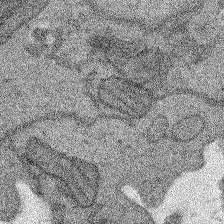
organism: Human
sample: HeLa cells